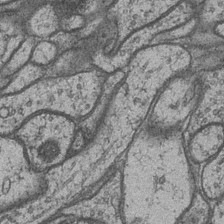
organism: Drosophila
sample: Optic medulla